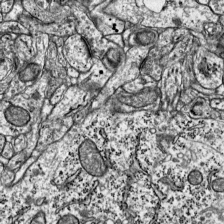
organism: Mouse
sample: Visual Cortex